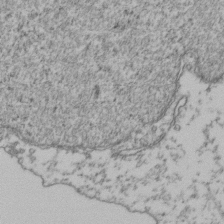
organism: Human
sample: Activated Jurkat CD4+ T cells